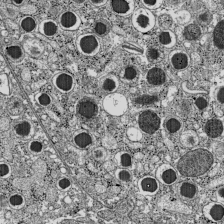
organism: C57BL Mouse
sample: Pancreatic islet